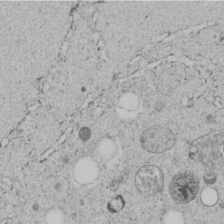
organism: C. elegans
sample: C. elegans embryo early stage